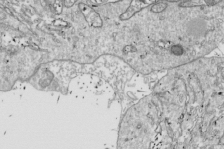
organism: Drosophila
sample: Cell division; meiosis; drosophila spermatocytes